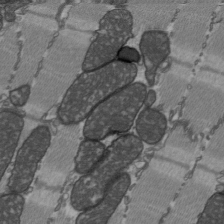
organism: C57BL Mouse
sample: Heart